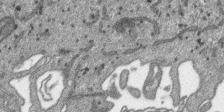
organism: Human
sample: Lung epithelial cells infected with SARS-CoV-2